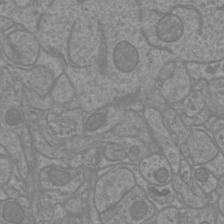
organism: Mouse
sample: Cortical neurons